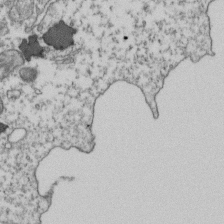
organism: Human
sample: Activated Jurkat CD4+ T cells